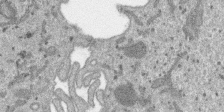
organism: Human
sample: Lung epithelial cells infected with SARS-CoV-2